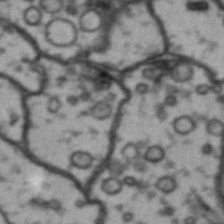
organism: Drosophila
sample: Brain